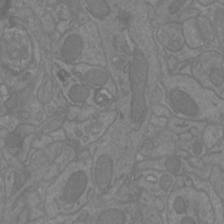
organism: Mouse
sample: Cortical neurons